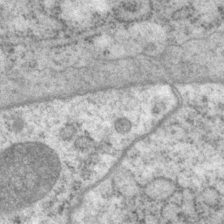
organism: P. pacificus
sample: Pharynx